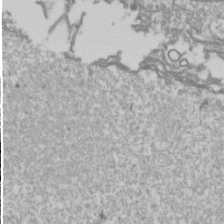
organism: Drosophila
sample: Cell division; meiosis; drosophila spermatocytes